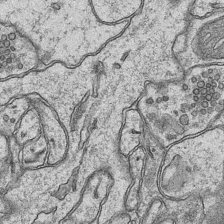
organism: Mouse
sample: CA1 Hippocampus